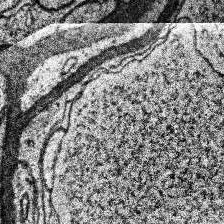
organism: Human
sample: Temporal Lobe